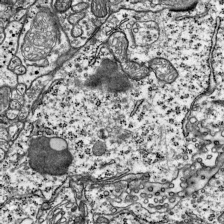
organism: Mouse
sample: Visual Cortex